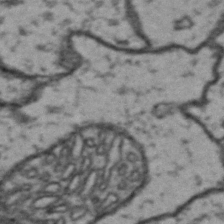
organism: Drosophila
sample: Brain